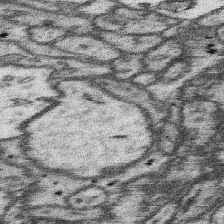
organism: Mouse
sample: Somatosensory cortex neuropil